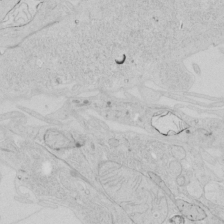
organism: Human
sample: Mitochondria in HCT116 cells